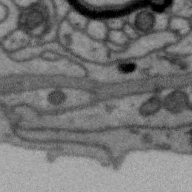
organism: Zebra finch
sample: Brain